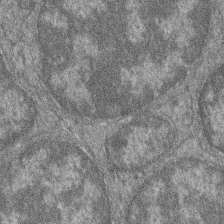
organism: Zebrafish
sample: Cilia; retinal pigment epithelium